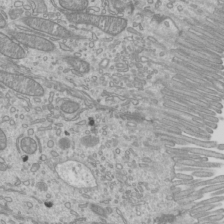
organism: Mouse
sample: Cilia; mouse epididymis